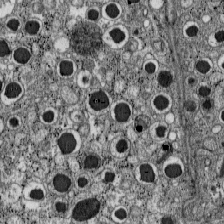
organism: C57BL Mouse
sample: Pancreatic islet